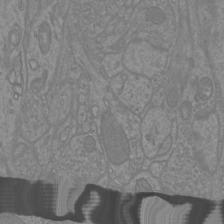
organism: Mouse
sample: Cortical neurons